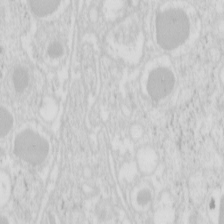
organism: Mouse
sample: Pancreas